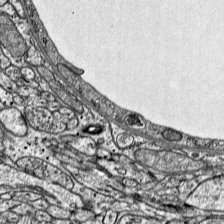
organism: Mouse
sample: Visual Cortex